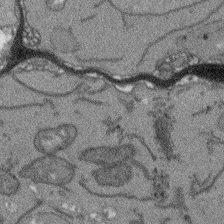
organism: Arabidopsis thaliana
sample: Root tip